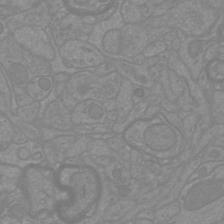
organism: Mouse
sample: Cortical neurons